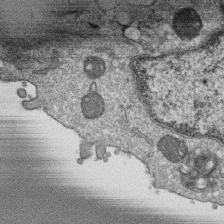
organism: African green monkey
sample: Vero E6 cells infected with SARS-CoV-2